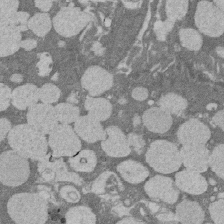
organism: Rat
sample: Salivary granule